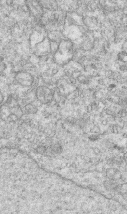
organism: Human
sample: HeLa cell HIV synapse